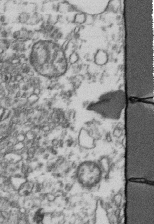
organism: Human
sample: Activated Jurkat CD4+ T cells